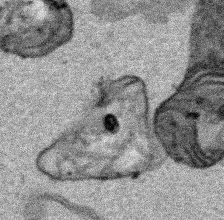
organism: Human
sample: Mitochondria in HCT116 cells